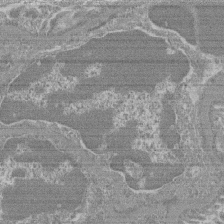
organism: Mouse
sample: Glomerulus